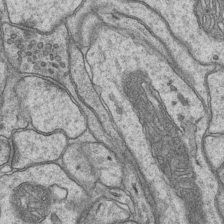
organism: Mouse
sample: CA1 Hippocampus